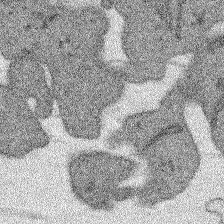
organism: Human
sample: HeLa cells